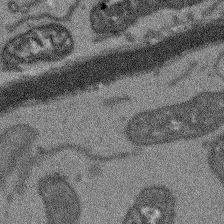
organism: Arabidopsis thaliana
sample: Root tip